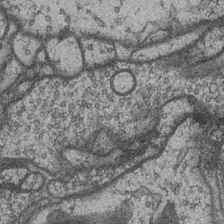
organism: Drosophila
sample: Optic medulla